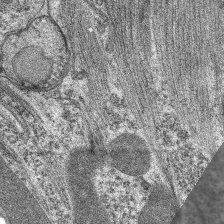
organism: C. elegans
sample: Pharynx